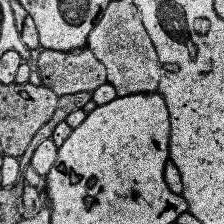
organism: Human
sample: Temporal Lobe